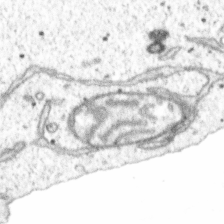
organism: Human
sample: HeLa cells